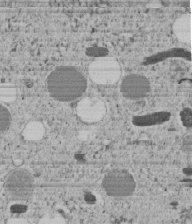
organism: C. elegans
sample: C. elegans embryo early stage